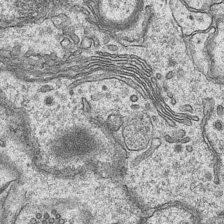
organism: Mouse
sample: CA1 Hippocampus